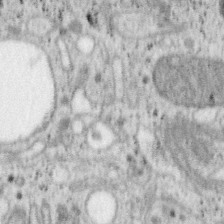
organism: Mouse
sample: OT-I killer T cells with ID8 ovarian cancer cells